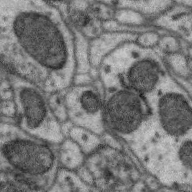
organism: Zebra finch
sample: Brain